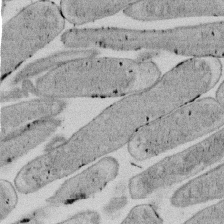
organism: E. coli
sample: Bacterial nucleoid